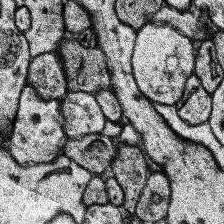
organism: Human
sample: Temporal Lobe